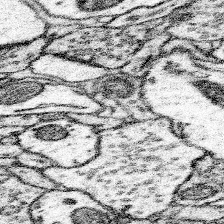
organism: Mouse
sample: Somatosensory cortex neuropil